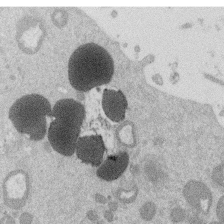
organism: Mouse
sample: Dividing mouse embryo 1 cell stage